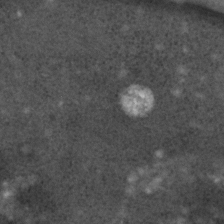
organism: C. elegans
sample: C. elegans embryo